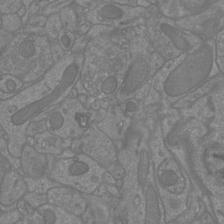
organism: Mouse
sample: Cortical neurons